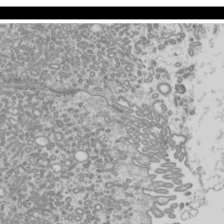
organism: Mouse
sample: Cilia; mouse epididymis